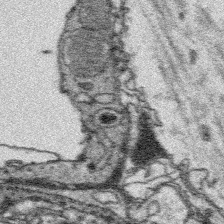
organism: Platynereis dumerilii